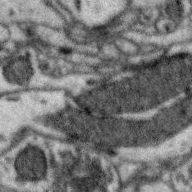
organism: Zebra finch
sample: Brain